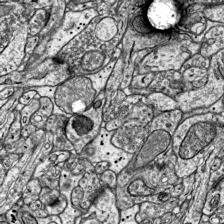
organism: Mouse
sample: Visual Cortex